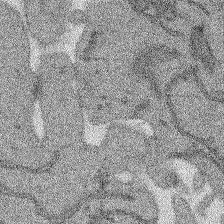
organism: Human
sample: HeLa cells